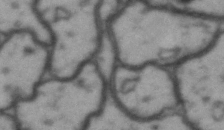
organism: Drosophila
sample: Brain